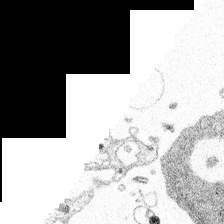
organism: Spongilla lacustris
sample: Multiple